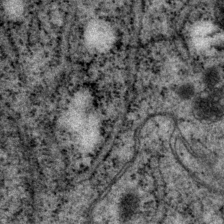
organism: P. pacificus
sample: Pharynx